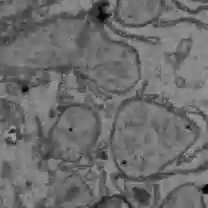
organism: C57BL Mouse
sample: Liver